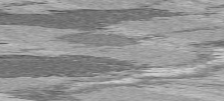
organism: C57BL Mouse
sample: Heart